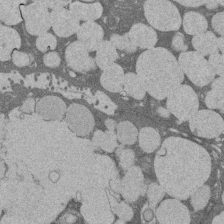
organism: Rat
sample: Salivary granule